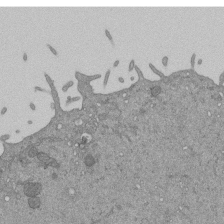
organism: Mouse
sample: ED-1 cell nuclei; centrioles